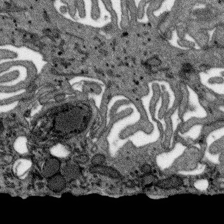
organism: Human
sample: Lung epithelial cells, uninfected (mock) control